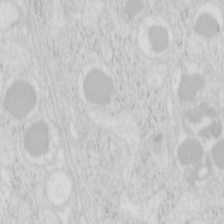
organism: Mouse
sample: Pancreas